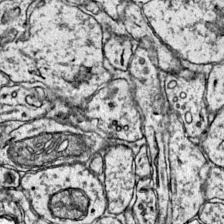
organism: Mouse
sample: Primary visual cortex